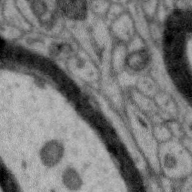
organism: Zebra finch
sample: Brain